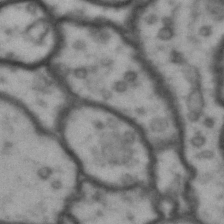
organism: Drosophila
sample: Brain